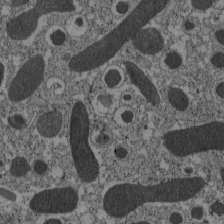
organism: C57BL Mouse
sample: Pancreatic islet